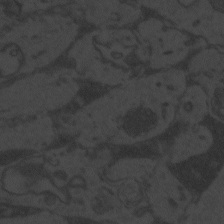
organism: Zebrafish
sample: Macrophage infected with Toxoplasma gondii